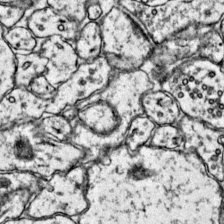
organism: Mouse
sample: Primary visual cortex